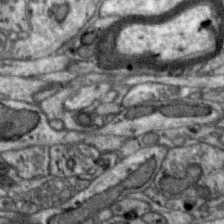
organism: Zebra finch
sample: Brain